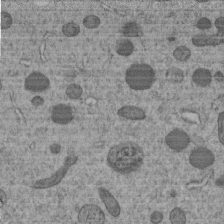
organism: C. elegans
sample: C. elegans embryo early stage